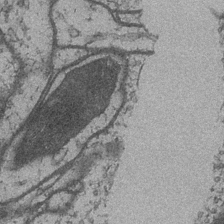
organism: Drosophila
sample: Optic medulla